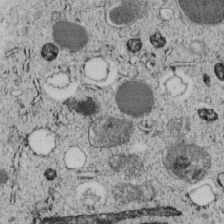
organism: C. elegans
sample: C. elegans embryo early stage